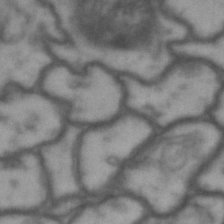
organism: Drosophila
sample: Brain